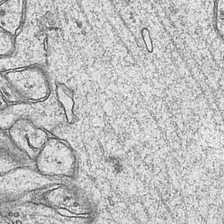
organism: Mouse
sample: CA1 Hippocampus